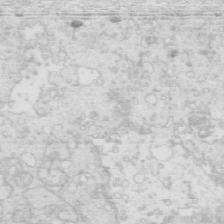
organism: Mouse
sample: Multiciliated cells